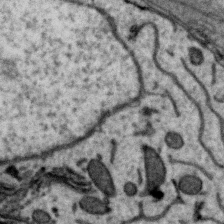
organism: Zebra finch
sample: Brain